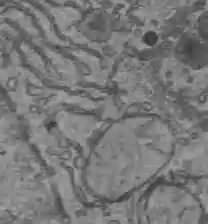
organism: C57BL Mouse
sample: Liver